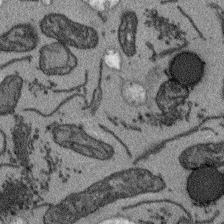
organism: Arabidopsis thaliana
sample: Root tip